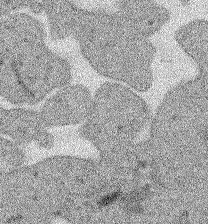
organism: Human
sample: HeLa cells